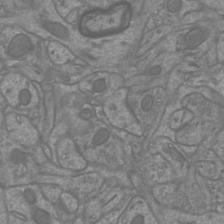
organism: Mouse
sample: Cortical neurons